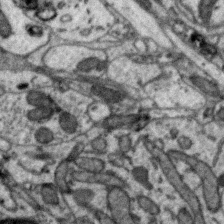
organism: Zebra finch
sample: Brain